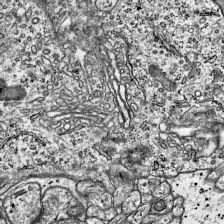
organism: Mouse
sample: Visual Cortex